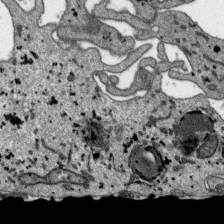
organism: Human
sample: Lung epithelial cells, uninfected (mock) control